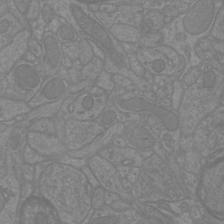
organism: Mouse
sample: Cortical neurons